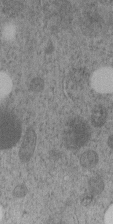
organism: C. elegans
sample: C. elegans embryo early stage